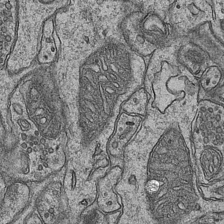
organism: Mouse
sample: CA1 Hippocampus